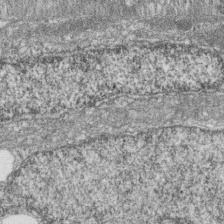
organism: Zebrafish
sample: Cilia; retinal pigment epithelium